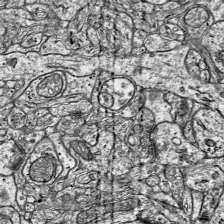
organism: Mouse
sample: Visual Cortex